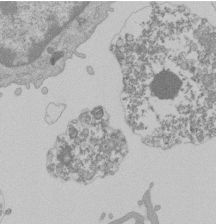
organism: Mouse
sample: Activated Pmel transgenic CD8+ T Cells